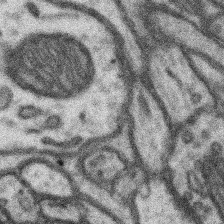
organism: Mouse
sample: Somatosensory cortex neuropil